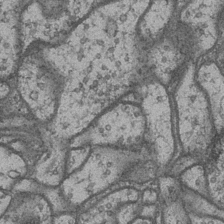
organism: Drosophila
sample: Optic medulla